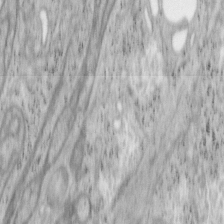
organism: Human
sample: HeLa cells